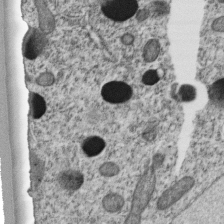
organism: C. elegans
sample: C. elegans embryo early stage